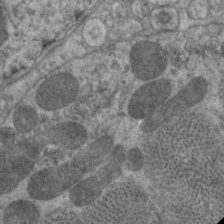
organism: C. elegans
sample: Pharynx